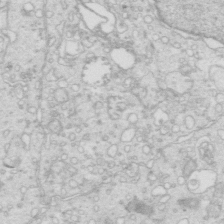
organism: Mouse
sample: Multiciliated cells